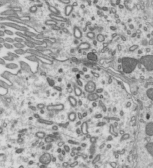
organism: Mouse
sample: Mouse epididymis efferent ductule cilia